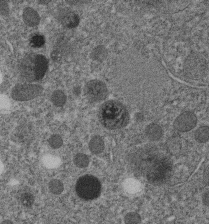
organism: C. elegans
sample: C. elegans embryo early stage